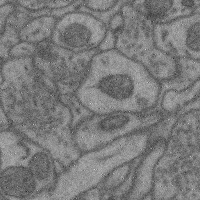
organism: Mouse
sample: Cerebral cortex